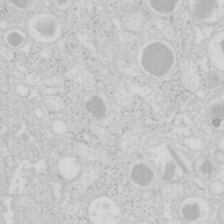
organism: Mouse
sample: Pancreas